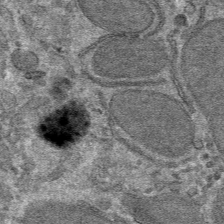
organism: Mouse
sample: Mouse hepatocytes